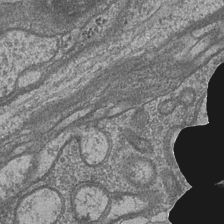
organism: Drosophila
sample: Optic medulla